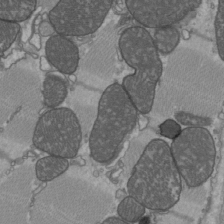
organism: C57BL Mouse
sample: Heart